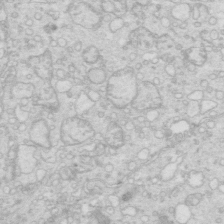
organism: Mouse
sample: Multiciliated cells